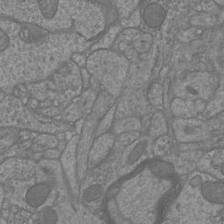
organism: Mouse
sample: Cortical neurons